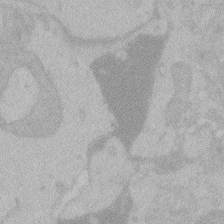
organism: Zebrafish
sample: Macrophage infected with Toxoplasma gondii